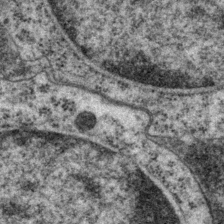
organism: P. pacificus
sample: Pharynx